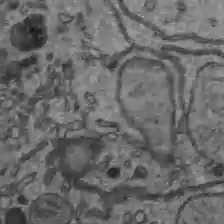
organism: C57BL Mouse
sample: Liver